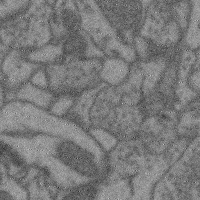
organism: Mouse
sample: Cerebral cortex